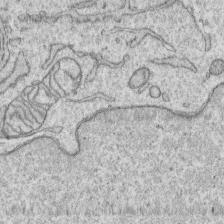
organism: Human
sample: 1205lu cells